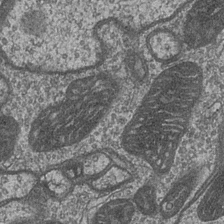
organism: Drosophila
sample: Optic medulla